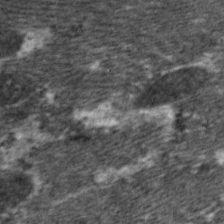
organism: C. elegans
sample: Pharynx